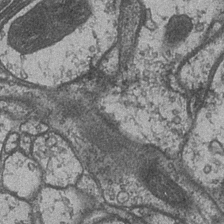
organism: Drosophila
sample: Optic medulla